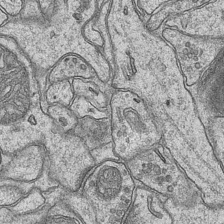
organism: Mouse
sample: CA1 Hippocampus